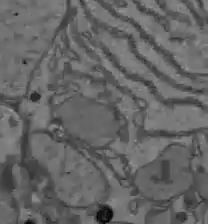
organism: C57BL Mouse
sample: Liver